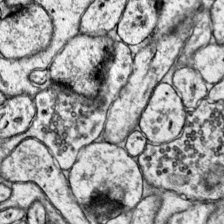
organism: Mouse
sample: Primary visual cortex